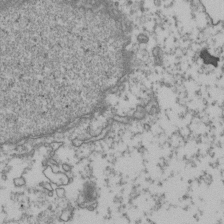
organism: Human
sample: Activated Jurkat CD4+ T cells